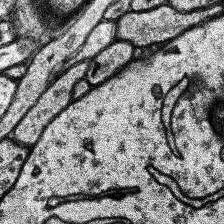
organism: Human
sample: Temporal Lobe